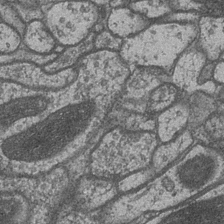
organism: Drosophila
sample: Optic medulla